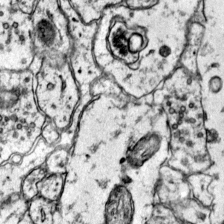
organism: Mouse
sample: Primary visual cortex